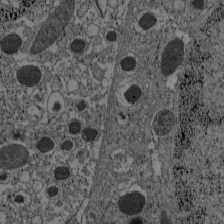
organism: C57BL Mouse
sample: Pancreatic islet